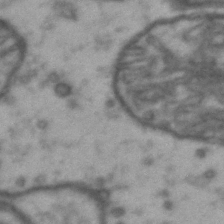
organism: Drosophila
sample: Brain